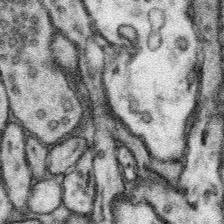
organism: Mouse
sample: Somatosensory cortex neuropil